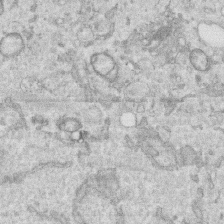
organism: Human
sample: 1205lu cells